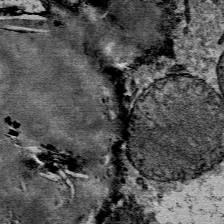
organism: Mouse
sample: Mouse Salivary gland